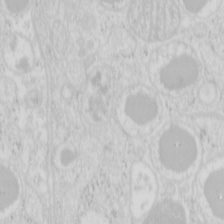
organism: Mouse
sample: Pancreas